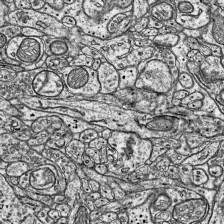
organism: Mouse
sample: Visual Cortex